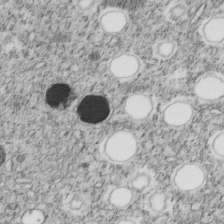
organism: C. elegans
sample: C. elegans embryo early stage